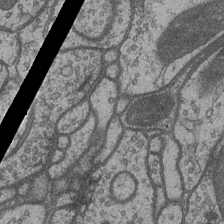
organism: Drosophila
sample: Optic medulla